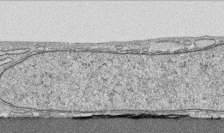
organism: Human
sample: CRL-1474